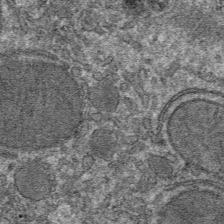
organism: Mouse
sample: Mouse hepatocytes